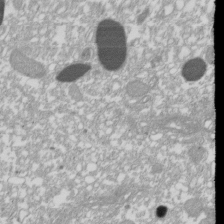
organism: Xenopus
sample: Cilia; centrioles in frog embryo cells